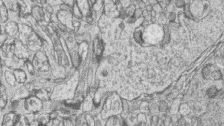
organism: Zebrafish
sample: synaptic ribbons in rod cells and cone cells